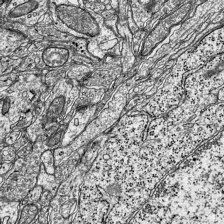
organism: Mouse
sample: Visual Cortex